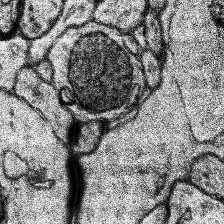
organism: Human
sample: Temporal Lobe